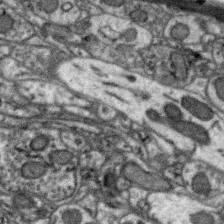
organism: Zebra finch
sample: Brain